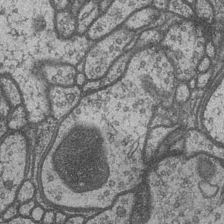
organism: Drosophila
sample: Optic medulla